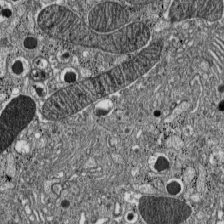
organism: C57BL Mouse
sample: Pancreatic islet